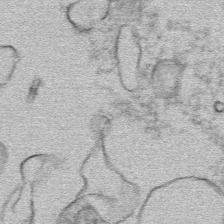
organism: Mouse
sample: Mouse hepatocytes